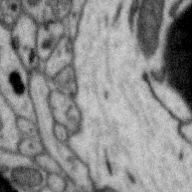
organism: Zebra finch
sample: Brain